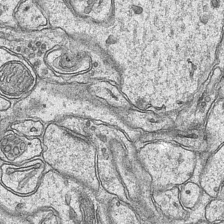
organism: Mouse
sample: CA1 Hippocampus